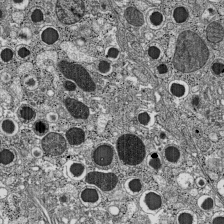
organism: C57BL Mouse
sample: Pancreatic islet